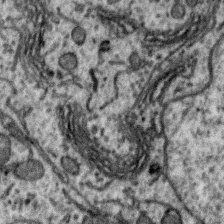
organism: Zebra finch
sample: Brain